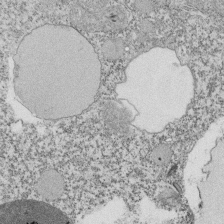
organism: Tetrahymena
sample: Cilia in tetrahymena